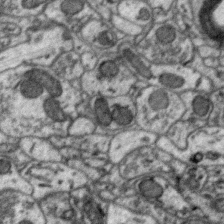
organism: Zebra finch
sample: Brain